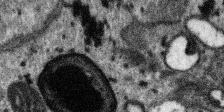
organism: Human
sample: Lung epithelial cells infected with SARS-CoV-2